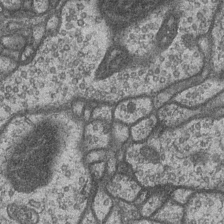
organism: Drosophila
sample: Optic medulla